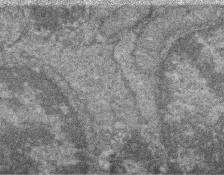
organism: Zebrafish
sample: Cilia; retinal pigment epithelium